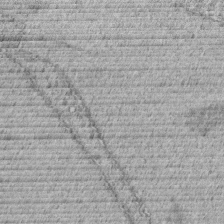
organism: C. elegans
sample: C. elegans embryo early stage